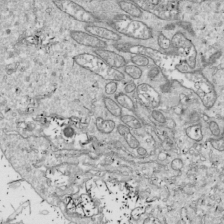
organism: Drosophila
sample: Cell division; meiosis; drosophila spermatocytes